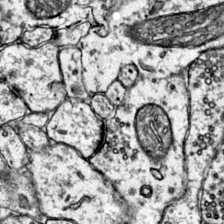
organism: Mouse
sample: Primary visual cortex